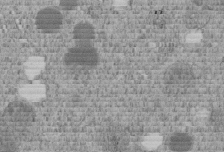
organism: C. elegans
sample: C. elegans embryo early stage